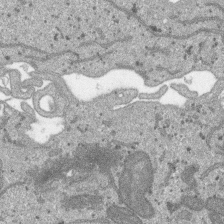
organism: Human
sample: Lung epithelial cells infected with SARS-CoV-2